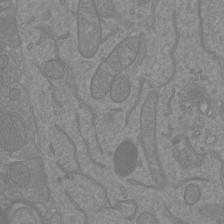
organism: Mouse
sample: Cortical neurons